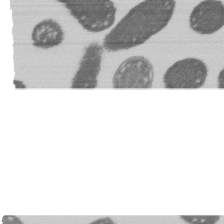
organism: E. coli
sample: Bacterial nucleoid